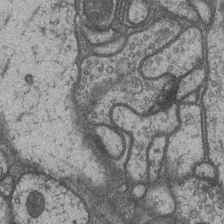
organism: Drosophila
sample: Optic medulla